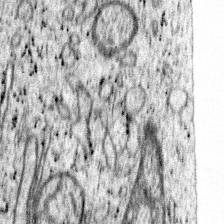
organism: Human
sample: HeLa cells